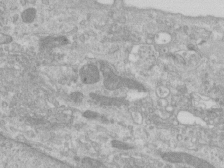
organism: Human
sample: Centriole in RPE cells